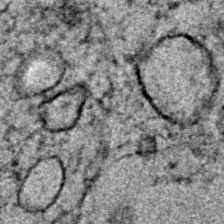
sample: Trachea